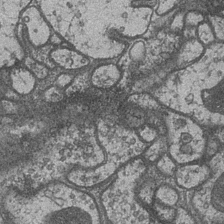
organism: Drosophila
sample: Optic medulla